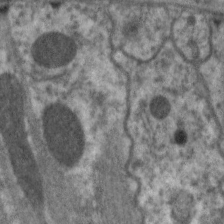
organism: C. elegans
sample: Pharynx